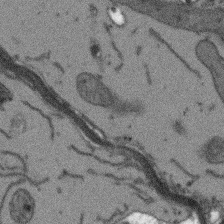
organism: Arabidopsis thaliana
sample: Root tip